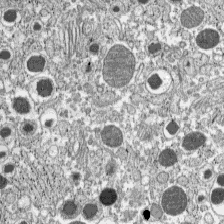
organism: C57BL Mouse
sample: Pancreatic islet